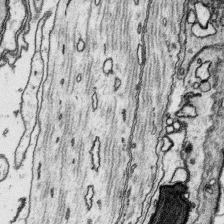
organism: Platynereis dumerilii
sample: Parapodia